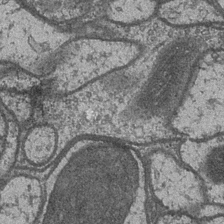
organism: Drosophila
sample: Optic medulla